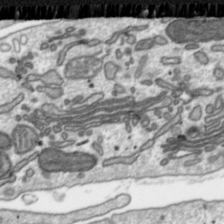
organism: Toxoplasma gondii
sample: Parasites in a vacuole inside a host cell